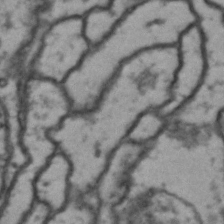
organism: Drosophila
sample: Brain